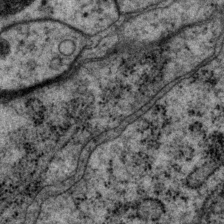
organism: P. pacificus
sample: Pharynx